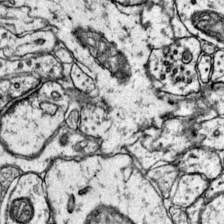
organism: Mouse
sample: Primary visual cortex